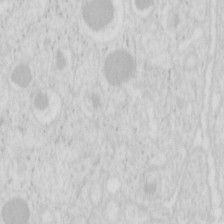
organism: Mouse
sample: Pancreas